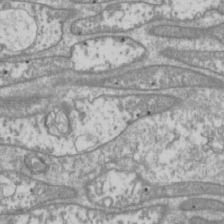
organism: Drosophila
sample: Cell division; meiosis; drosophila spermatocytes